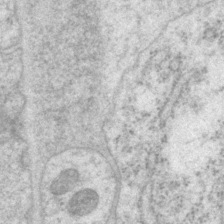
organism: P. pacificus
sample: Pharynx